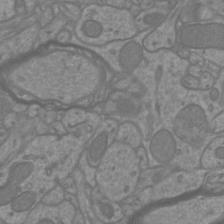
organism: Mouse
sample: Cortical neurons